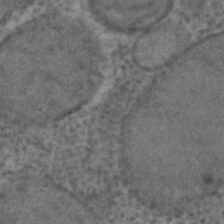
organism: C. elegans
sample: C. elegans embryo